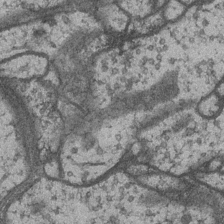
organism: Drosophila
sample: Optic medulla